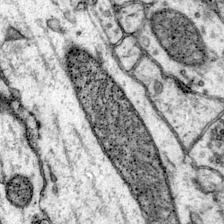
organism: Mouse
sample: Primary visual cortex